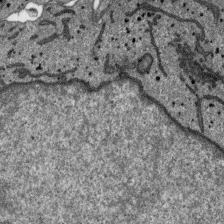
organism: Human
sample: Lung epithelial cells, uninfected (mock) control